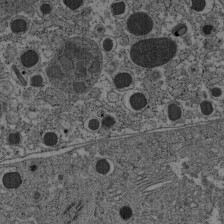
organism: C57BL Mouse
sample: Pancreatic islet